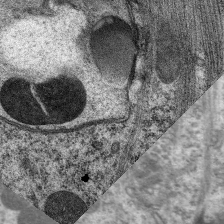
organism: C. elegans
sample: Pharynx